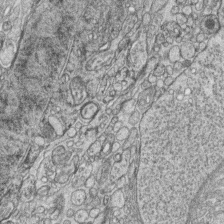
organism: Zebrafish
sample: synaptic ribbons in rod cells and cone cells